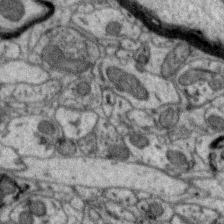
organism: Zebra finch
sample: Brain